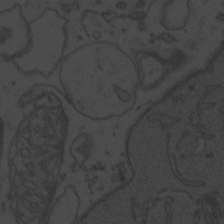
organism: Zebrafish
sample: Macrophage infected with Toxoplasma gondii